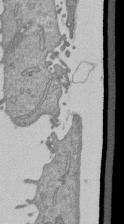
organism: Mouse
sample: ED-1 cell nuclei; centrioles